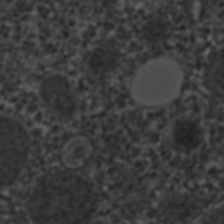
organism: C. elegans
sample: C. elegans embryo